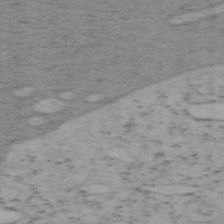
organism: Mouse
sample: OT-I killer T cells with ID8 ovarian cancer cells